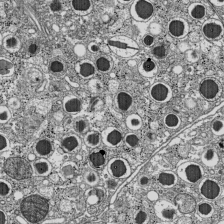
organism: C57BL Mouse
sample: Pancreatic islet